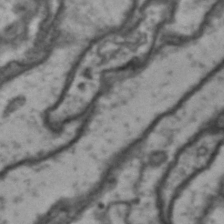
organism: Drosophila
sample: Brain